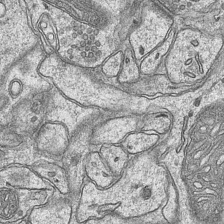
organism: Mouse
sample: CA1 Hippocampus